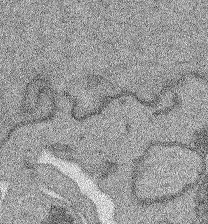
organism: Human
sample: HeLa cells